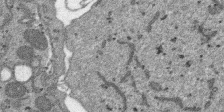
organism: Human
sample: Lung epithelial cells infected with SARS-CoV-2